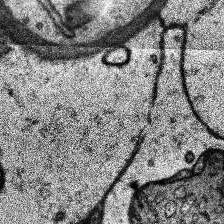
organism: Human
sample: Temporal Lobe